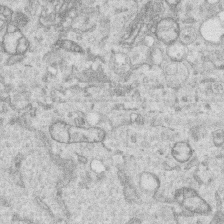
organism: Human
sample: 1205lu cells